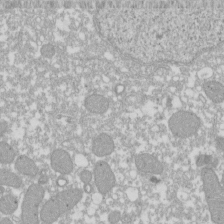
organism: Xenopus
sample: Cilia; centrioles in frog embryo cells